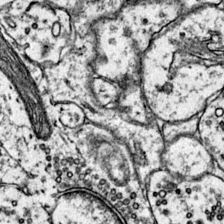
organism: Mouse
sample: Primary visual cortex